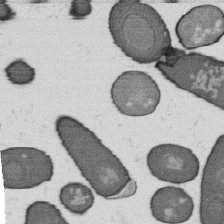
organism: B. subtilis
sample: Bacterial spore